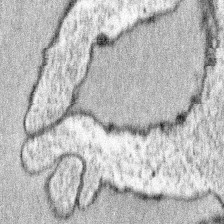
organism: Human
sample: HeLa cells